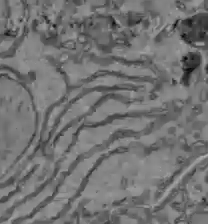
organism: C57BL Mouse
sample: Liver